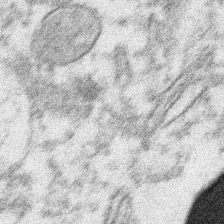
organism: Xenopus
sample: Cilia; centrioles in frog embryo cells